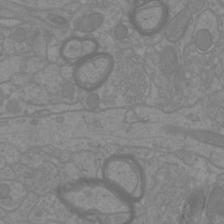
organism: Mouse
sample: Cortical neurons